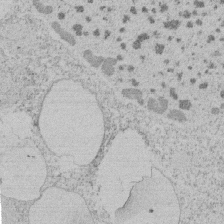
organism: Tetrahymena